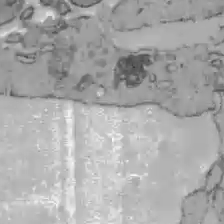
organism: C57BL Mouse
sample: Liver